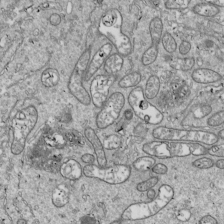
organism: Drosophila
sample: Cell division; meiosis; drosophila spermatocytes